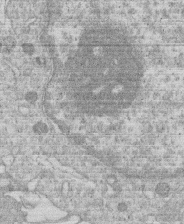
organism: Human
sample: Macrophage cells